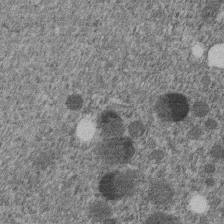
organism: C. elegans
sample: C. elegans embryo early stage